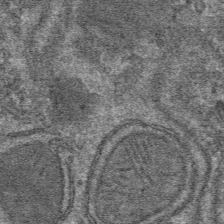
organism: Mouse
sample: Mouse hepatocytes